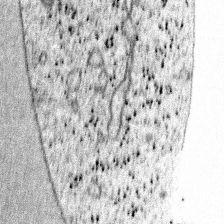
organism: Human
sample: HeLa cells